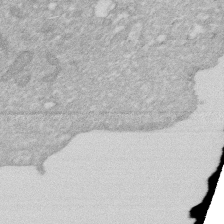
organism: Human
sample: HIV infected U937 cells